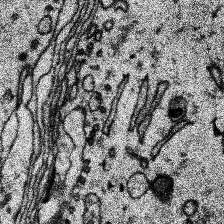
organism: Human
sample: Temporal Lobe